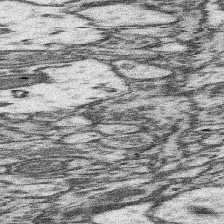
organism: Mouse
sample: Somatosensory cortex neuropil